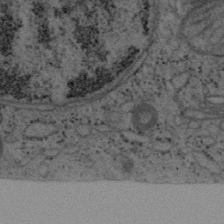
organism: Human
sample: HeLa cells